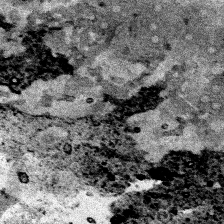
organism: Human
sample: Mitochondria in HCT116 cells